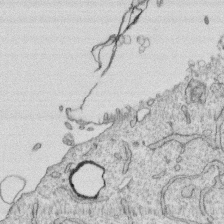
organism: Human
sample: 1205lu cells